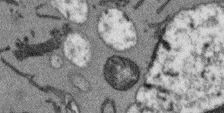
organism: Arabidopsis thaliana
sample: Root tip